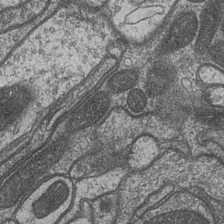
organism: Drosophila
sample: Optic medulla